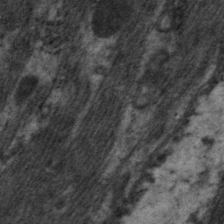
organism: C. elegans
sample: Pharynx